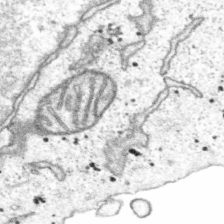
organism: Human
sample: HeLa cells